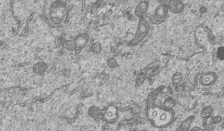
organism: Human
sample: MDA-MB-231 cells